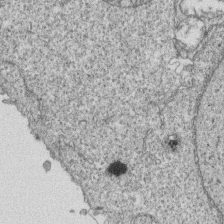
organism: Human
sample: HeLa cell HIV synapse